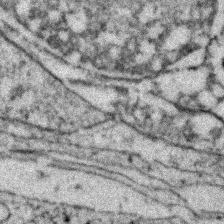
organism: Zebrafish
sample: Zebrafish embryo